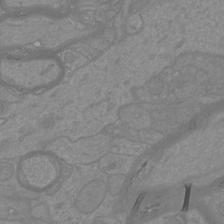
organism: Mouse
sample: Cortical neurons